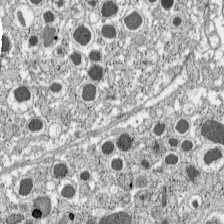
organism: C57BL Mouse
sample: Pancreatic islet